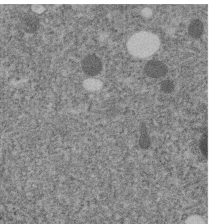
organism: C. elegans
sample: C. elegans embryo early stage